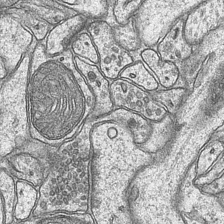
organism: Mouse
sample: CA1 Hippocampus